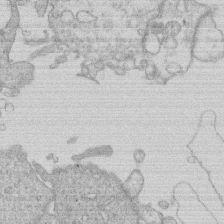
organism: Human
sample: Macrophage cells